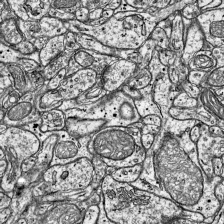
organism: Mouse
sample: Visual Cortex